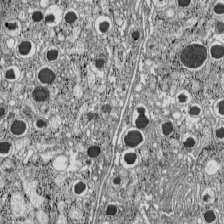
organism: C57BL Mouse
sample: Pancreatic islet